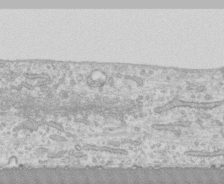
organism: Human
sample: CRL-1474